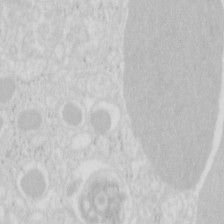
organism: Mouse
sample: Pancreas